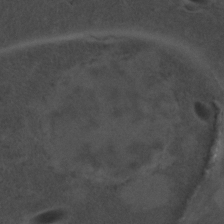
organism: C. elegans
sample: C. elegans embryo